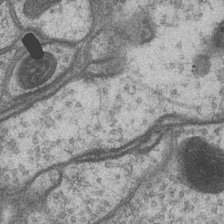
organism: Drosophila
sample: Optic medulla